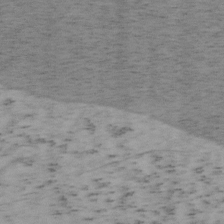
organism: Mouse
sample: OT-I killer T cells with ID8 ovarian cancer cells